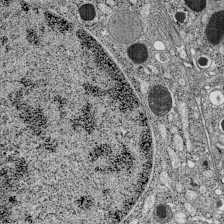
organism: C57BL Mouse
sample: Pancreatic islet